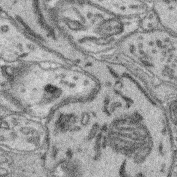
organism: Mouse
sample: Retina